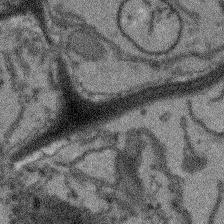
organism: Arabidopsis thaliana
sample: Root tip